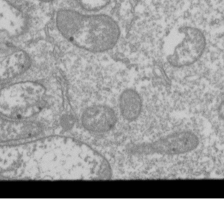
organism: Drosophila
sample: Cell division; meiosis; drosophila spermatocytes